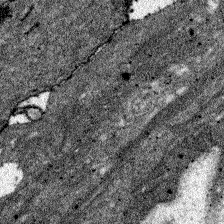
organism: Zebrafish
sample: Larval olfactory bulb